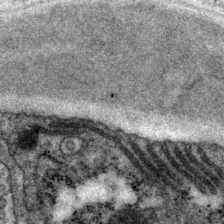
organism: P. pacificus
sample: Pharynx